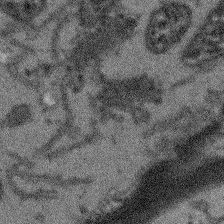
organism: Arabidopsis thaliana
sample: Root tip